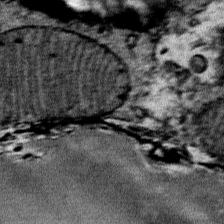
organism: Mouse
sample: Mouse Salivary gland